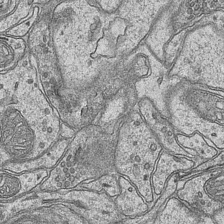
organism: Mouse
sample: CA1 Hippocampus